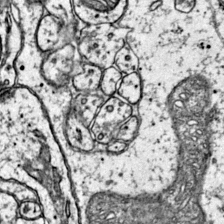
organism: Mouse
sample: Primary visual cortex